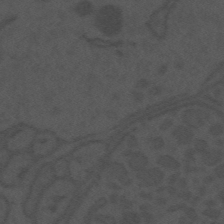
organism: Mouse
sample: Suprachiasmatic nucleus